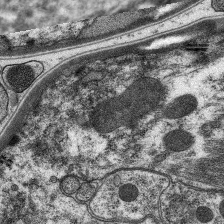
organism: C. elegans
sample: Pharynx